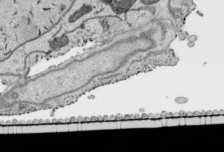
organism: Human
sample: Mitochondria in HCT116 cells